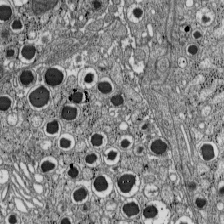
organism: C57BL Mouse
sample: Pancreatic islet